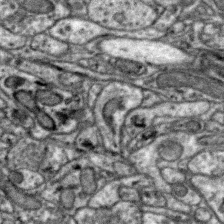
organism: Zebra finch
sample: Brain